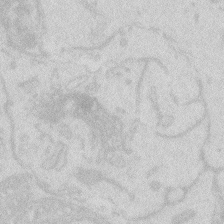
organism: Zebrafish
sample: Macrophage